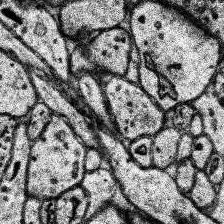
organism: Human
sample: Temporal Lobe